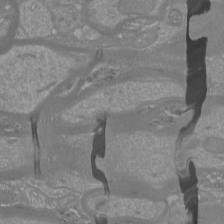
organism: Mouse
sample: Cortical neurons